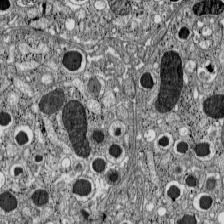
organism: C57BL Mouse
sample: Pancreatic islet